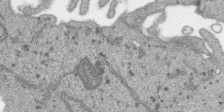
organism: Human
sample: Lung epithelial cells infected with SARS-CoV-2